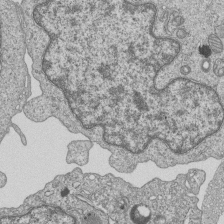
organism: Human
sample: MDA-MB-231 cells